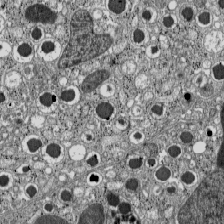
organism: C57BL Mouse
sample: Pancreatic islet